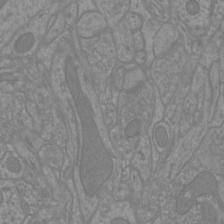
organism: Mouse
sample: Cortical neurons